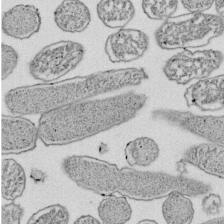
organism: E. coli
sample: Bacterial nucleoid